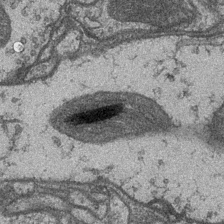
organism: Drosophila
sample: Optic medulla